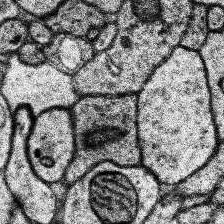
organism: Human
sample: Temporal Lobe